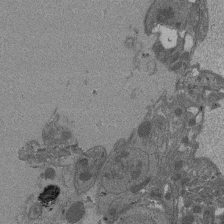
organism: Drosophila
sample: Antenna